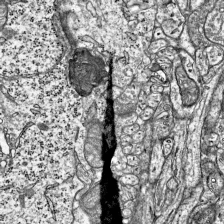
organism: Mouse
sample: Visual Cortex